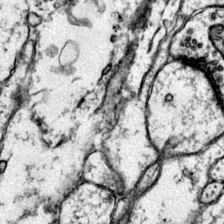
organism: Mouse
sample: Primary visual cortex